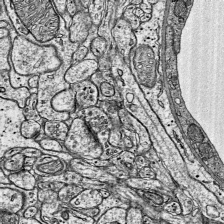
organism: Mouse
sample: Visual Cortex